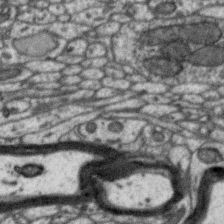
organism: Zebra finch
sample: Brain